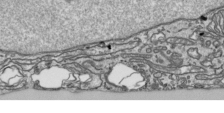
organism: Human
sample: Mitochondria in HCT116 cells